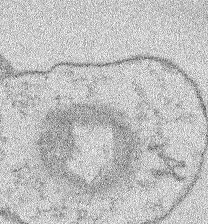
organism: Human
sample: HeLa cells